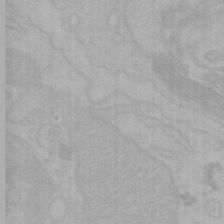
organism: Mouse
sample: Choroid plexus